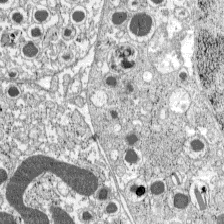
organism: C57BL Mouse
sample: Pancreatic islet